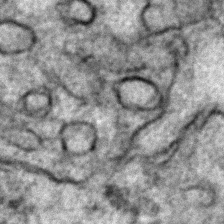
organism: Zebrafish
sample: Zebrafish embryo